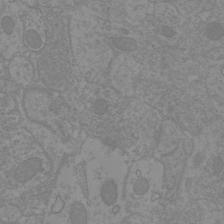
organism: Mouse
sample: Cortical neurons